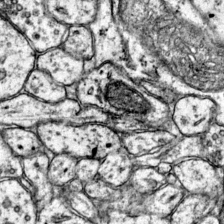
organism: Mouse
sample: Primary visual cortex